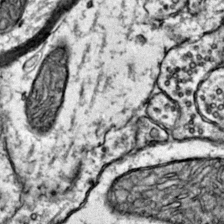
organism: Mouse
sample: Primary visual cortex